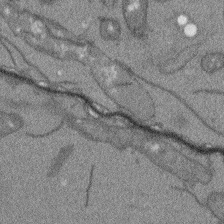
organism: Arabidopsis thaliana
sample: Root tip